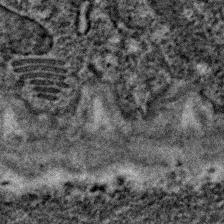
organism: C. elegans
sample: C. elegans embryo